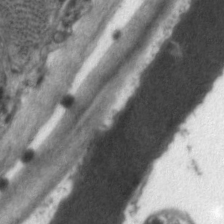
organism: C. elegans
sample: Pharynx